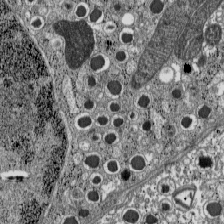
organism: C57BL Mouse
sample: Pancreatic islet